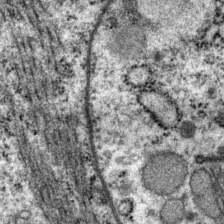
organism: P. pacificus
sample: Pharynx